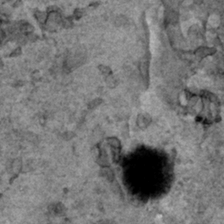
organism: Human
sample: Mitochondria in HCT116 cells